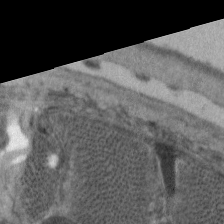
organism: C. elegans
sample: Pharynx